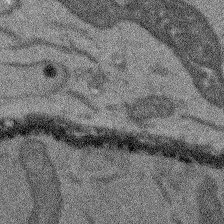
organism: Arabidopsis thaliana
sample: Root tip